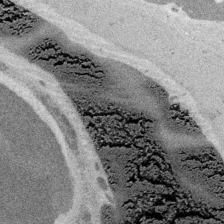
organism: Embia sp.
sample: Silk gland